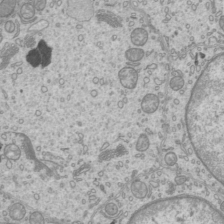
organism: Mouse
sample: Cilia; mouse epididymis